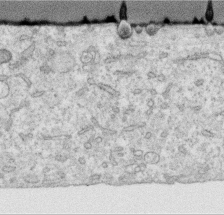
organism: Human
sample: Centriole in RPE cells